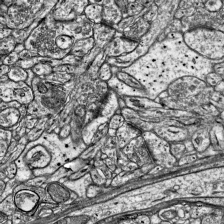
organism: Mouse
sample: Visual Cortex